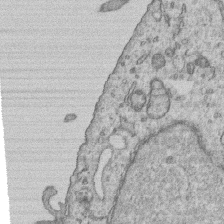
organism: Human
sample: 1205lu cells